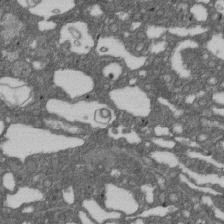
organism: Drosophila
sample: Nephrocyte